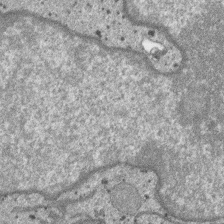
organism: Human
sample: Lung epithelial cells infected with SARS-CoV-2